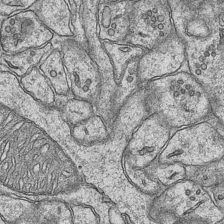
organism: Mouse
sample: CA1 Hippocampus